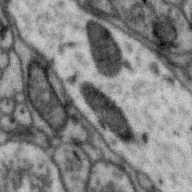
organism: Zebra finch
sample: Brain